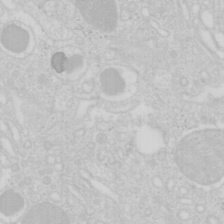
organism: Mouse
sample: Pancreas